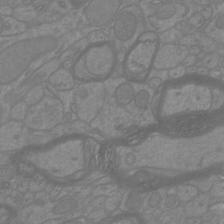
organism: Mouse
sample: Cortical neurons